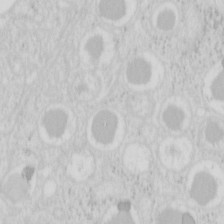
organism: Mouse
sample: Pancreas